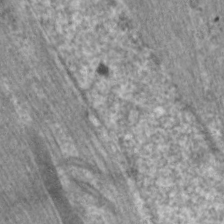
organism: C. elegans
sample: Pharynx